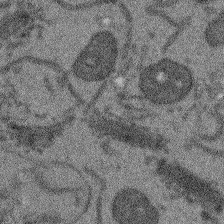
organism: Arabidopsis thaliana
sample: Root tip